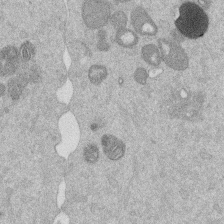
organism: Mouse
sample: Dividing mouse embryo 1 cell stage